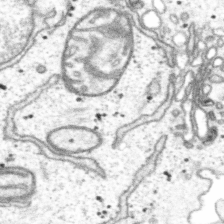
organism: Human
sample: HeLa cells